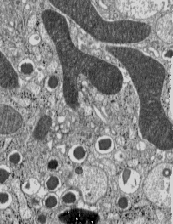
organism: C57BL Mouse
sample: Pancreatic islet